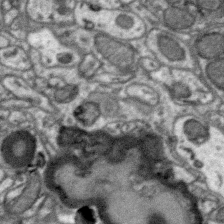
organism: Zebra finch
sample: Brain